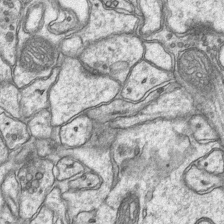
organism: Mouse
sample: CA1 Hippocampus